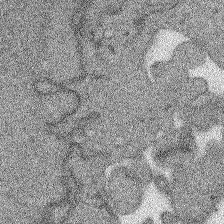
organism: Human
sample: HeLa cells